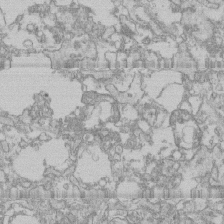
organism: Human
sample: CRL-1474